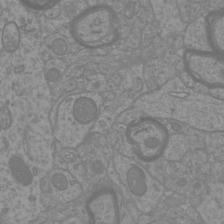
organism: Mouse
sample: Cortical neurons